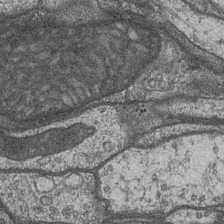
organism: Drosophila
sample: Optic medulla